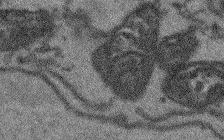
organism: Arabidopsis thaliana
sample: Root tip